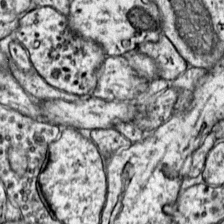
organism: Mouse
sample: Primary visual cortex